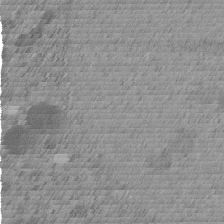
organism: C. elegans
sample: C. elegans embryo early stage